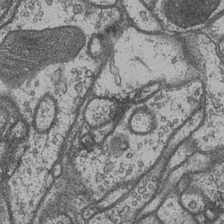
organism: Drosophila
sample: Optic medulla